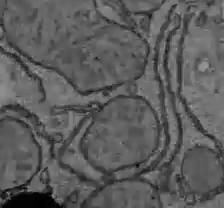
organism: C57BL Mouse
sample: Liver